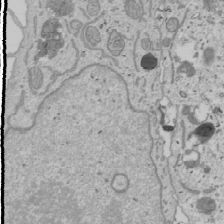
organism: Human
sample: Mitochondria in U2OS cells